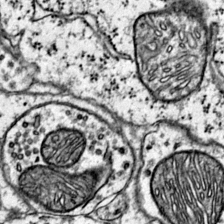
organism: Mouse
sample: Primary visual cortex